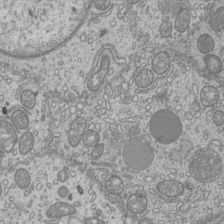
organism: Mouse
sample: Cilia; mouse epididymis